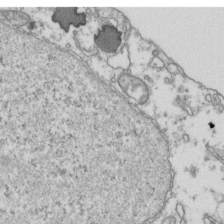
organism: Human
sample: Activated Jurkat CD4+ T cells